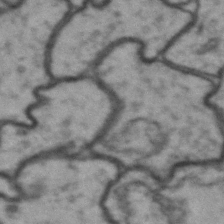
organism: Drosophila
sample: Brain